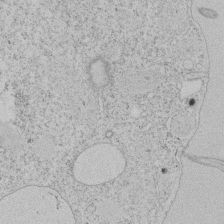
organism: Tetrahymena